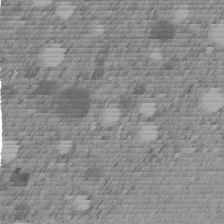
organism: C. elegans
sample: C. elegans embryo early stage